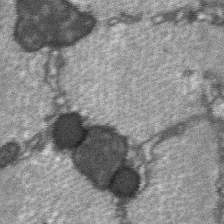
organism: C57BL Mouse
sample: Soleus